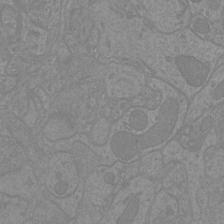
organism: Mouse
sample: Cortical neurons